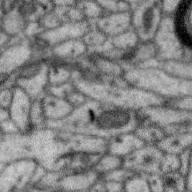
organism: Zebra finch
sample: Brain